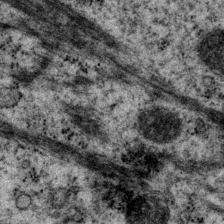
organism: P. pacificus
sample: Pharynx